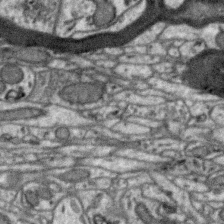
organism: Zebra finch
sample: Brain